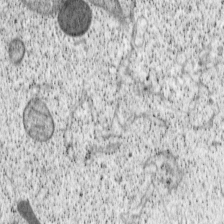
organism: African green monkey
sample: COS-7 cells